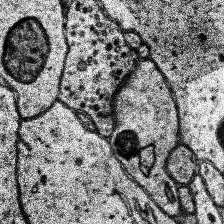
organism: Human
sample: Temporal Lobe